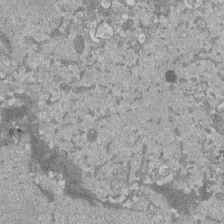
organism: Mouse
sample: ED-1 cell nuclei; centrioles